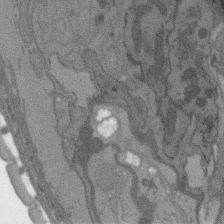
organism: C. elegans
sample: AFD neurons C. elegans